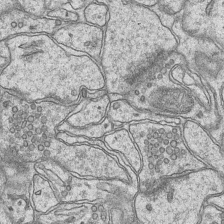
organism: Mouse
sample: CA1 Hippocampus